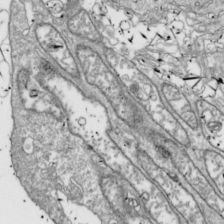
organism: Drosophila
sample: Cell division; meiosis; drosophila spermatocytes